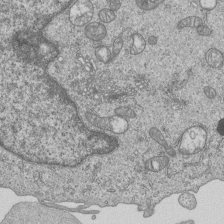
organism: Human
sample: MDA-MB-231 cells